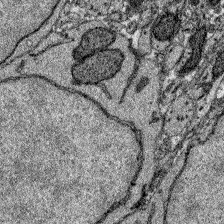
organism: Zebrafish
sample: Larval olfactory bulb